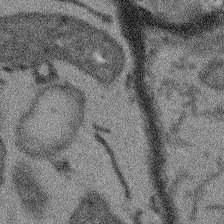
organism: Arabidopsis thaliana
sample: Root tip